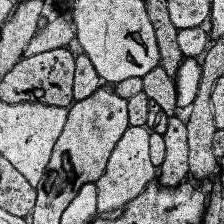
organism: Human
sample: Temporal Lobe